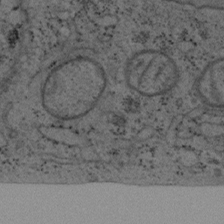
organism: Human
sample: HeLa cells